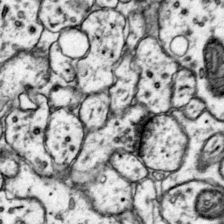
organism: Mouse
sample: Primary visual cortex